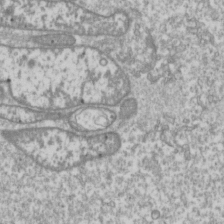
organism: Drosophila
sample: Cell division; meiosis; drosophila spermatocytes